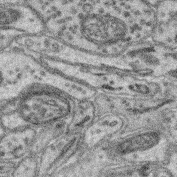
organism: Mouse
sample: Retina